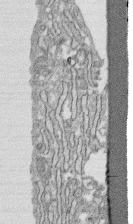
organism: Human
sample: CRL-1474